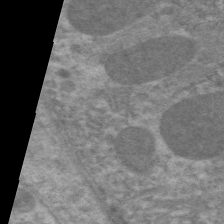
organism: C. elegans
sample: Pharynx